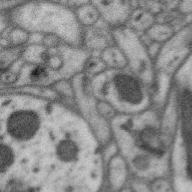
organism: Zebra finch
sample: Brain